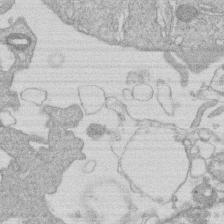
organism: Human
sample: Macrophage cells